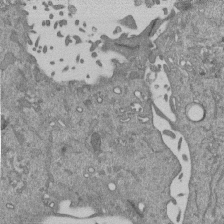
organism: Mouse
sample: ED-1 cell nuclei; centrioles